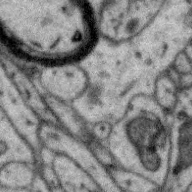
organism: Zebra finch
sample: Brain